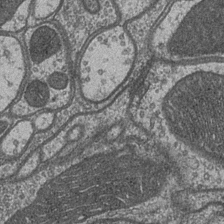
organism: Drosophila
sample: Optic medulla